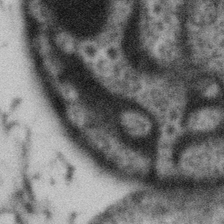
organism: Gemmata obscuriglobus